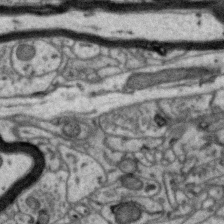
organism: Zebra finch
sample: Brain